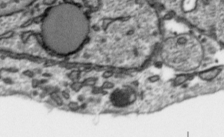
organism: Toxoplasma gondii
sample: Parasites in a vacuole inside a host cell